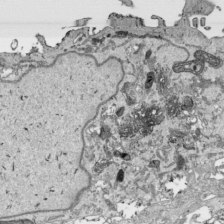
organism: Human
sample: Mitochondria in HCT116 cells